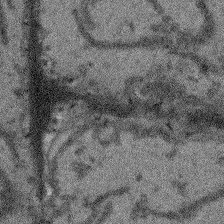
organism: Arabidopsis thaliana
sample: Root tip